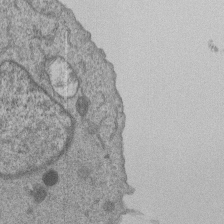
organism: Human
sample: MDA-MB-231 cells